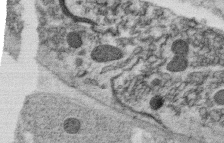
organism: C. elegans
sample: C. elegans oocyte; sperm cells